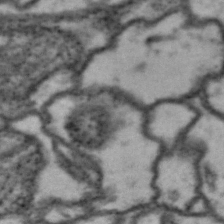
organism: Drosophila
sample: Brain